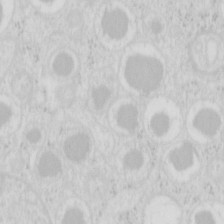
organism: Mouse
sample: Pancreas